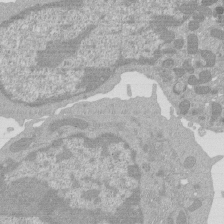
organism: Mouse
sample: Activated Pmel transgenic CD8+ T Cells